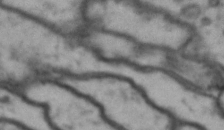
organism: Drosophila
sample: Brain